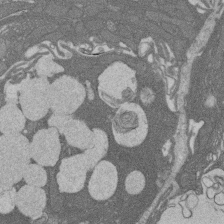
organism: Rat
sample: Salivary granule